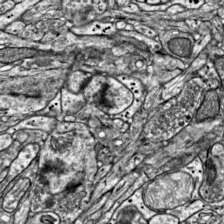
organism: Mouse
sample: Visual Cortex